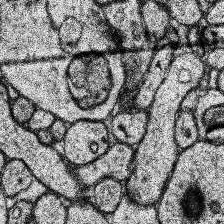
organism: Human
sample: Temporal Lobe